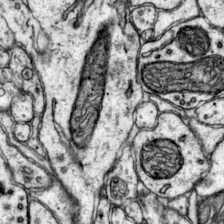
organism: Mouse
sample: Primary visual cortex